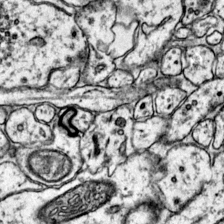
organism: Mouse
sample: Primary visual cortex